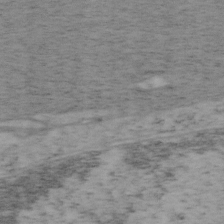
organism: Mouse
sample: OT-I killer T cells with ID8 ovarian cancer cells